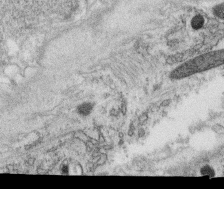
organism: C. elegans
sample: C. elegans oocyte; sperm cells